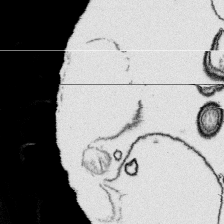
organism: Platynereis dumerilii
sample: Parapodia